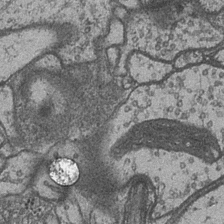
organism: Drosophila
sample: Optic medulla